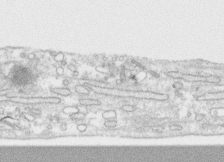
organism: Human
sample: CRL-1474